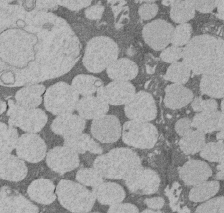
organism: Rat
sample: Salivary granule